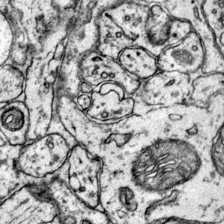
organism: Mouse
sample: Primary visual cortex